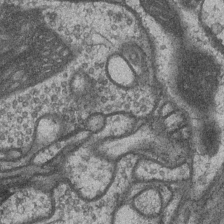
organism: Drosophila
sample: Optic medulla